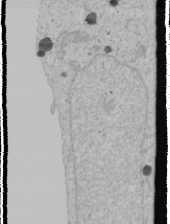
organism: Human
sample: Mitochondria in U2OS cells